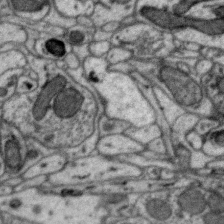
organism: Zebra finch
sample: Brain